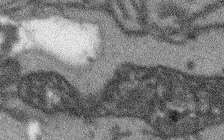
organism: Arabidopsis thaliana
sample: Root tip